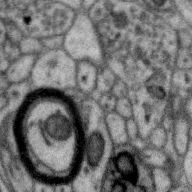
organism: Zebra finch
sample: Brain